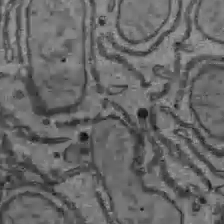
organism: C57BL Mouse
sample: Liver